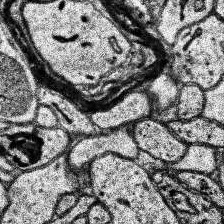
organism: Human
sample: Temporal Lobe